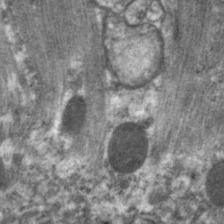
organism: C. elegans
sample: Pharynx